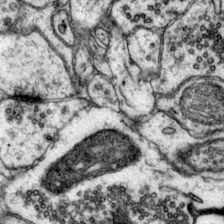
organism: Mouse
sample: Primary visual cortex